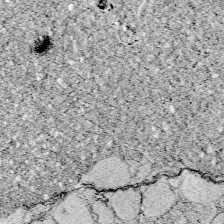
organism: Zebrafish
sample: Whole-Brain